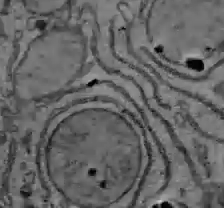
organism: C57BL Mouse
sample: Liver